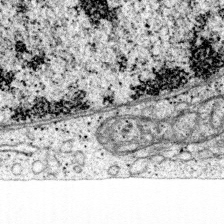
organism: Human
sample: HeLa cells